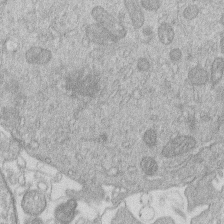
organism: Human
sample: Macrophage cells